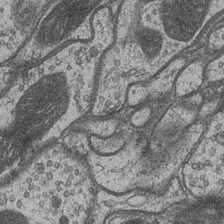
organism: Drosophila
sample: Optic medulla